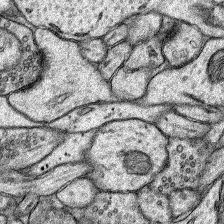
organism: Rat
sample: Hippocampus